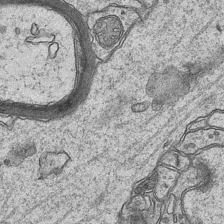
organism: Mouse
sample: CA1 Hippocampus